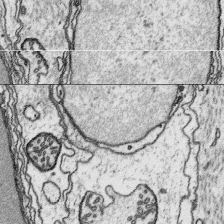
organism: Platynereis dumerilii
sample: Parapodia